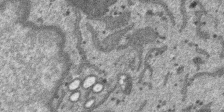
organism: Human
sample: Lung epithelial cells infected with SARS-CoV-2